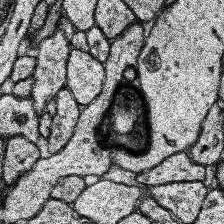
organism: Human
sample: Temporal Lobe